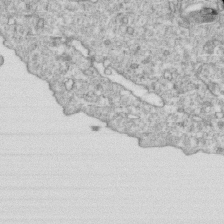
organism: Mouse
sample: Activated OT-1 CD8+ T cells